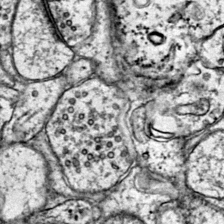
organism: Mouse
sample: Primary visual cortex